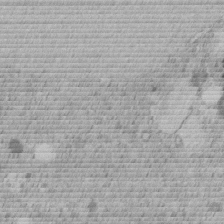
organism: C. elegans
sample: C. elegans embryo early stage